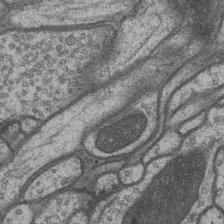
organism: Drosophila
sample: Optic medulla